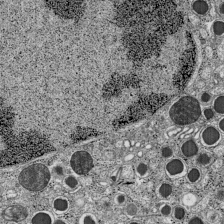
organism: C57BL Mouse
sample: Pancreatic islet